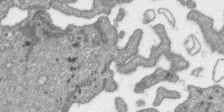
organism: Human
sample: Lung epithelial cells infected with SARS-CoV-2